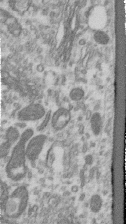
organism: Human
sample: Centriole in RPE cells